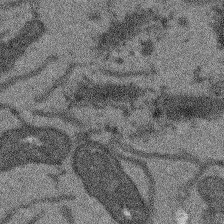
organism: Arabidopsis thaliana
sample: Root tip